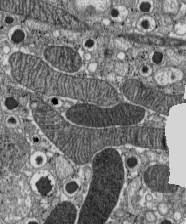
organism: C57BL Mouse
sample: Pancreatic islet